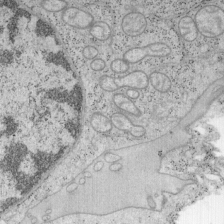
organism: Mouse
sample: OT-I killer T cells with ID8 ovarian cancer cells